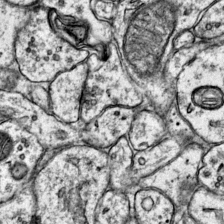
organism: Mouse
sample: Primary visual cortex